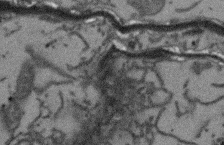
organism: Arabidopsis thaliana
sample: Root tip